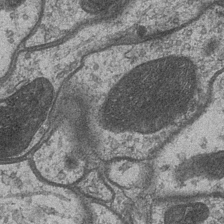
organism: Drosophila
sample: Optic medulla